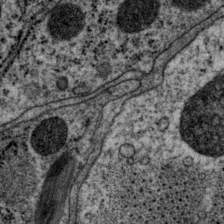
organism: P. pacificus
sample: Pharynx